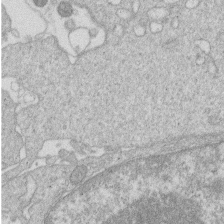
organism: Human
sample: Macrophage cells